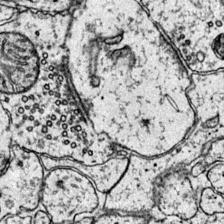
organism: Mouse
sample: Primary visual cortex